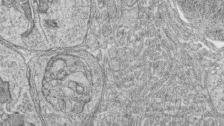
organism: Zebrafish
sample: synaptic ribbons in rod cells and cone cells